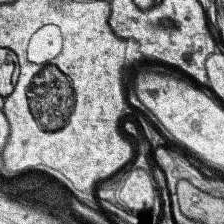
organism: Human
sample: Temporal Lobe